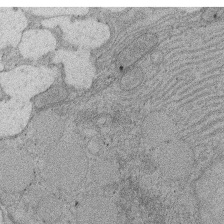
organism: Rat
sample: Salivary granule